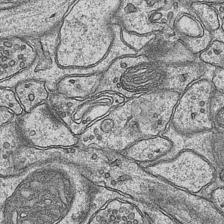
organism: Mouse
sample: CA1 Hippocampus